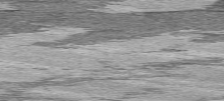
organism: C57BL Mouse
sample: Heart